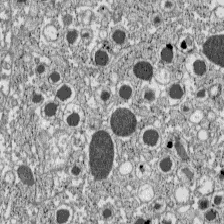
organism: C57BL Mouse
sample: Pancreatic islet